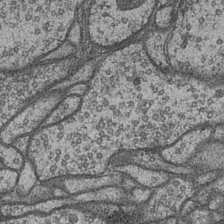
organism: Drosophila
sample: Optic medulla